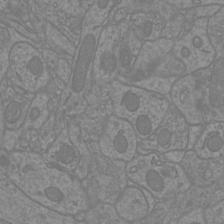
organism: Mouse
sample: Cortical neurons